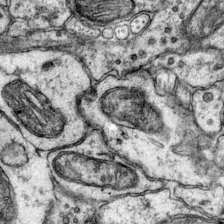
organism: Mouse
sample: Primary visual cortex